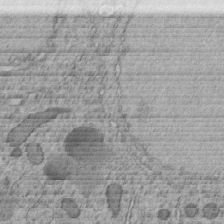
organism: C. elegans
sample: C. elegans embryo early stage